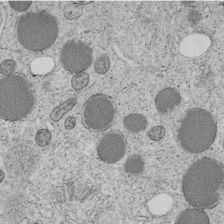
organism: C. elegans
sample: C. elegans embryo early stage